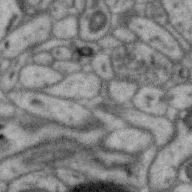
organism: Zebra finch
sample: Brain